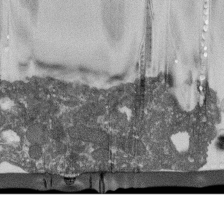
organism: Dictyostelium discoideum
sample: Dictyostelium multivesicular bodies